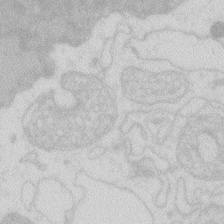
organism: Zebrafish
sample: Macrophage